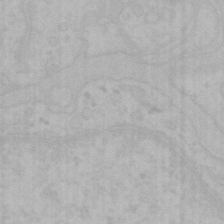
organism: Mouse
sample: Choroid plexus